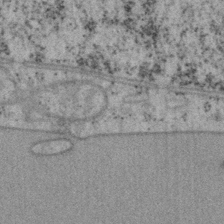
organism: Human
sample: HeLa cells